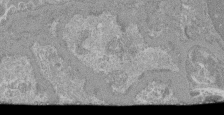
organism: Mouse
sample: Glomerulus